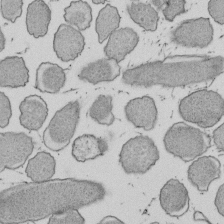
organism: E. coli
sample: Bacterial nucleoid